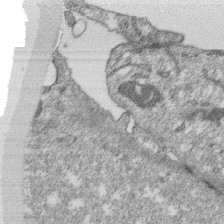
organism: African green monkey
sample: Vero E6 cells infected with SARS-CoV-2